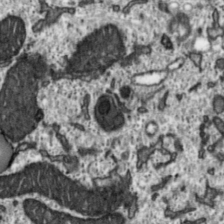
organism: Toxoplasma gondii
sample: Parasites in a vacuole inside a host cell